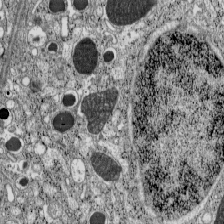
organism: C57BL Mouse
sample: Pancreatic islet